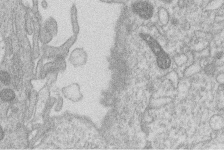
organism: Human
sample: Macrophage cells